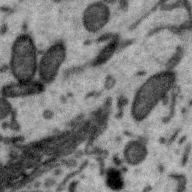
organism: Zebra finch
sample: Brain